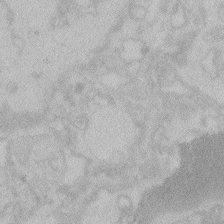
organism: Zebrafish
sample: Macrophage infected with Toxoplasma gondii